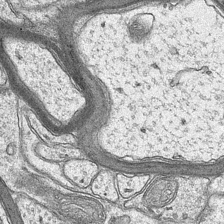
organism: Mouse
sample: CA1 Hippocampus